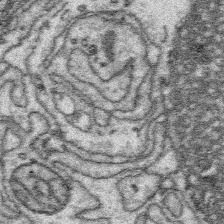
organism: Platynereis dumerilii